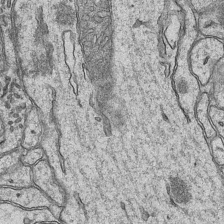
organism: Mouse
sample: CA1 Hippocampus